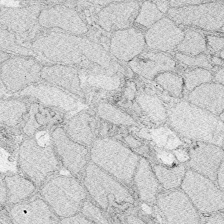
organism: Zebrafish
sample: Whole-Brain